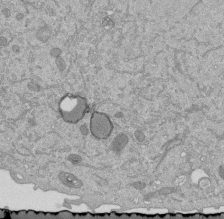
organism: Mouse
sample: ED-1 cell nuclei; centrioles